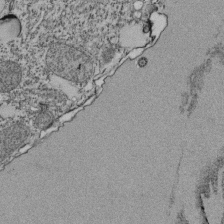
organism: Tetrahymena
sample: Cilia in tetrahymena